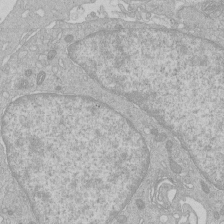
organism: Human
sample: Macrophage cells